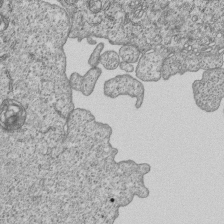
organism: Human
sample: MDA-MB-231 cells